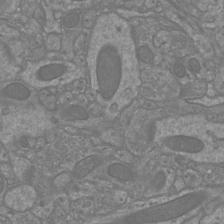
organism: Mouse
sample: Cortical neurons